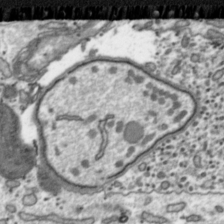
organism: Toxoplasma gondii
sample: Parasites in a vacuole inside a host cell